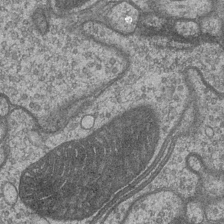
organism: Drosophila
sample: Optic medulla